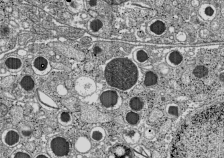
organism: C57BL Mouse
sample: Pancreatic islet